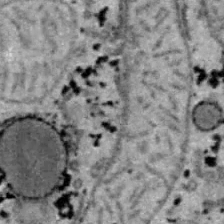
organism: Mouse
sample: Liver from an obese (ob/ob) mouse